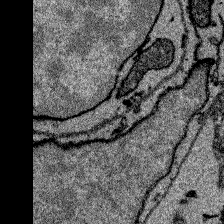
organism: Zebrafish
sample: Larval olfactory bulb